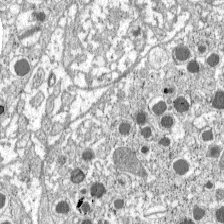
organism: C57BL Mouse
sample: Pancreatic islet